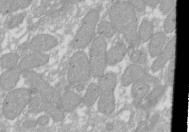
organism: Xenopus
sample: Cilia; centrioles in frog embryo cells